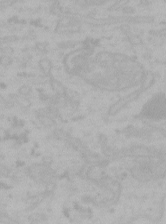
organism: Mouse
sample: Choroid plexus